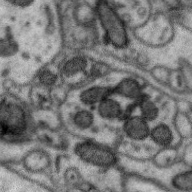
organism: Zebra finch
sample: Brain